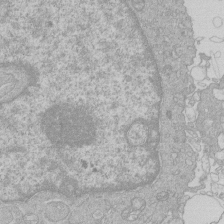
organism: Human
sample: Macrophage cells